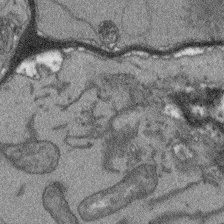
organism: Arabidopsis thaliana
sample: Root tip